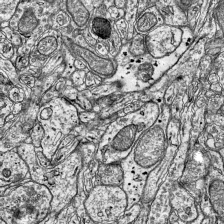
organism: Mouse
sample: Visual Cortex